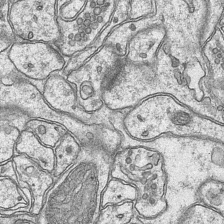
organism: Mouse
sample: CA1 Hippocampus